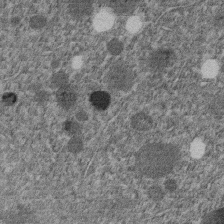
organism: C. elegans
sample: C. elegans embryo early stage